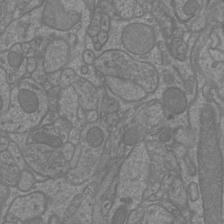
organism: Mouse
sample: Cortical neurons